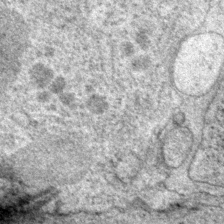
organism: P. pacificus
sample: Pharynx